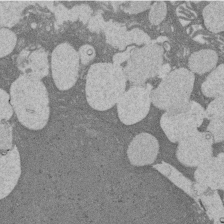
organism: Rat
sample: Salivary granule